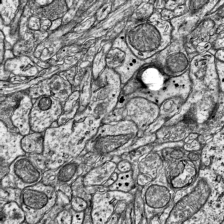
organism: Mouse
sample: Visual Cortex